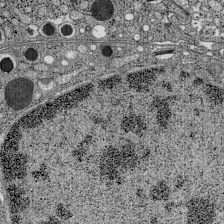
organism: C57BL Mouse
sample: Pancreatic islet